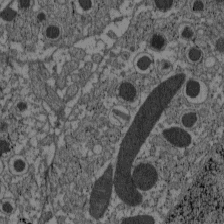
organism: C57BL Mouse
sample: Pancreatic islet